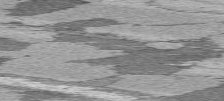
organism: C57BL Mouse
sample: Heart